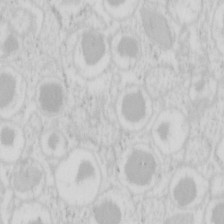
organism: Mouse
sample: Pancreas